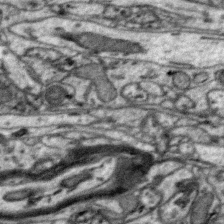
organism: Zebra finch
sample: Brain